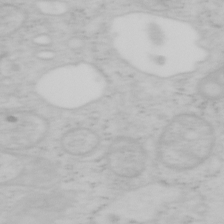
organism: Mouse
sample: OT-I killer T cells with ID8 ovarian cancer cells